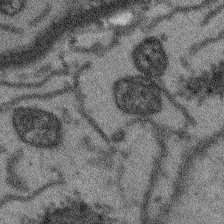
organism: Arabidopsis thaliana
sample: Root tip